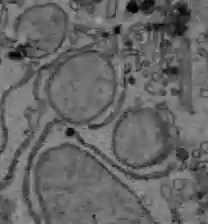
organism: C57BL Mouse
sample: Liver